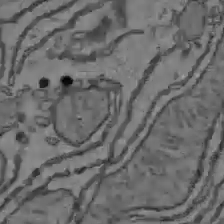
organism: C57BL Mouse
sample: Liver